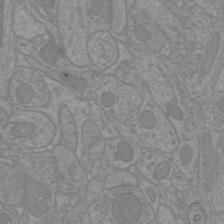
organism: Mouse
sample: Cortical neurons